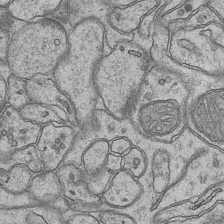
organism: Mouse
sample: CA1 Hippocampus